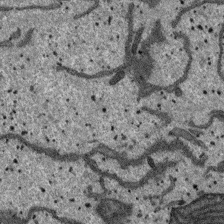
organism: Human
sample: Lung epithelial cells, uninfected (mock) control